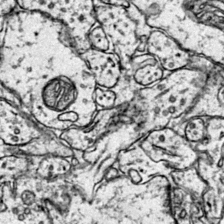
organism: Mouse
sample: Primary visual cortex